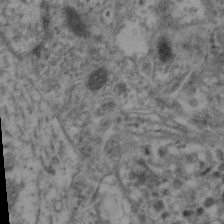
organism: Mouse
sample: Neocortex